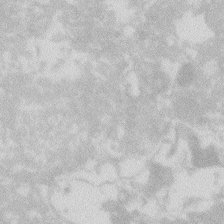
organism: Zebrafish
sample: Macrophage